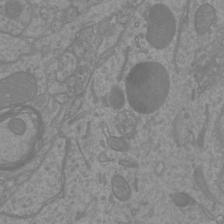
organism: Mouse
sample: Cortical neurons